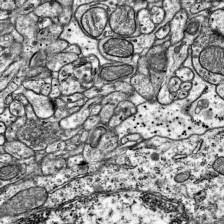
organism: Mouse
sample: Visual Cortex